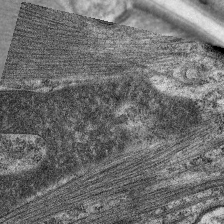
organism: C. elegans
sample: Pharynx